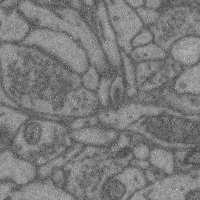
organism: Mouse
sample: Cerebral cortex